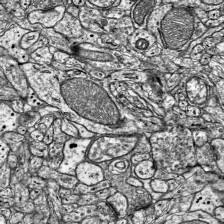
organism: Mouse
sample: Visual Cortex